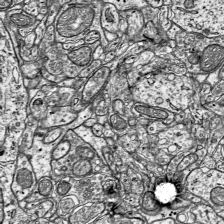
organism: Mouse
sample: Visual Cortex